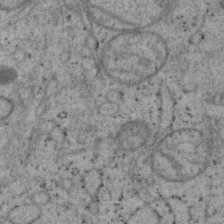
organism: Human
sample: HeLa cells